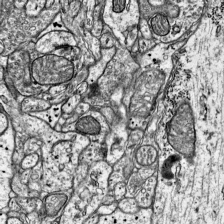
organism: Mouse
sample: Visual Cortex